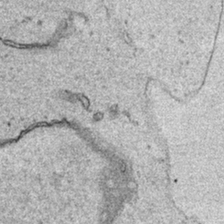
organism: Human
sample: Mitochondria in HCT116 cells